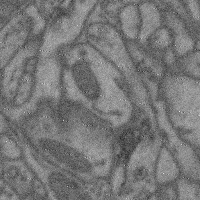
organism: Mouse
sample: Cerebral cortex